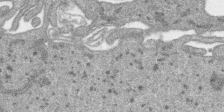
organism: Human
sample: Lung epithelial cells infected with SARS-CoV-2